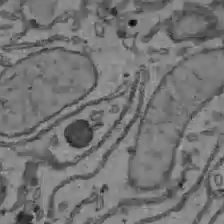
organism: C57BL Mouse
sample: Liver